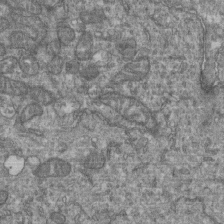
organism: Human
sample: Retinal organoid Rod and Cone cells